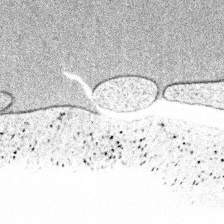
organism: Human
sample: HeLa cells